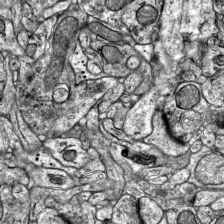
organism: Mouse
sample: Visual Cortex